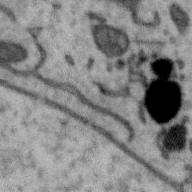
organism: Zebra finch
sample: Brain